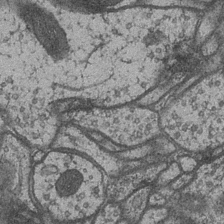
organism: Drosophila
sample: Optic medulla